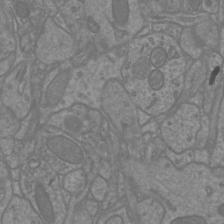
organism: Mouse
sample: Cortical neurons